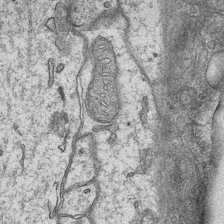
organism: Mouse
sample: CA1 Hippocampus